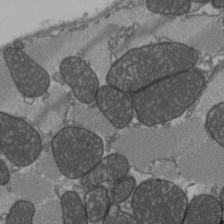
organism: C57BL Mouse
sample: Heart